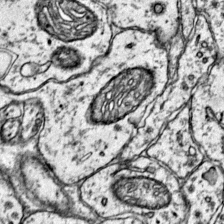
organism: Mouse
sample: Primary visual cortex